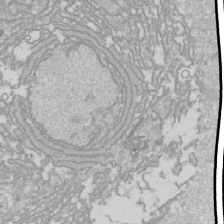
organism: Drosophila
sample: Cell division; meiosis; drosophila spermatocytes